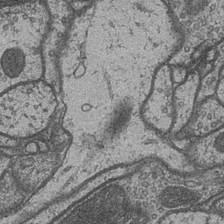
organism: Drosophila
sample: Optic medulla